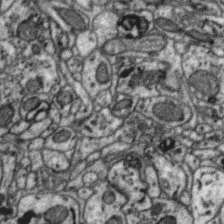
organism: Zebra finch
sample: Brain